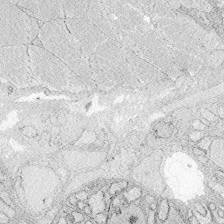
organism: Zebrafish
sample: Whole-Brain